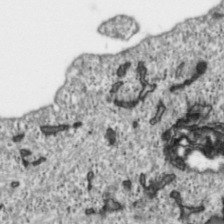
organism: Toxoplasma gondii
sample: Parasites in a vacuole inside a host cell